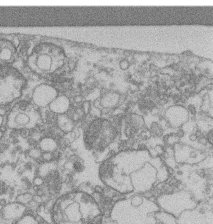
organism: Mouse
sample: T cell stromal cell synapse